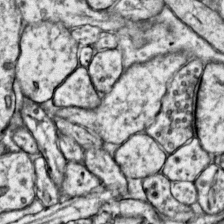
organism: Mouse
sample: Primary visual cortex